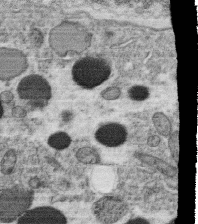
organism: C. elegans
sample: C. elegans oocyte; sperm cells